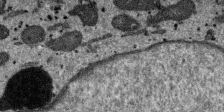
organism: Human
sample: Lung epithelial cells, uninfected (mock) control